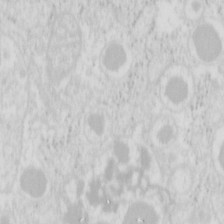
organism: Mouse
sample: Pancreas